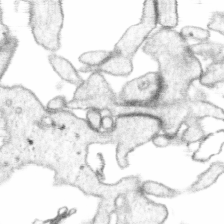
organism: Human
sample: HeLa cells